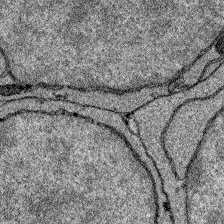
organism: Zebrafish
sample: Larval olfactory bulb